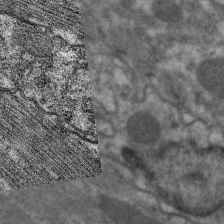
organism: C. elegans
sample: Pharynx